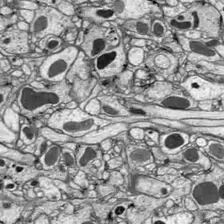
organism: Drosophila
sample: Optic lobe